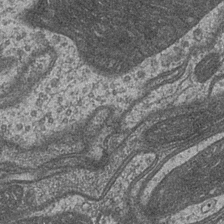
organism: Drosophila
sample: Optic medulla